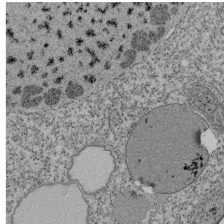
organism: Tetrahymena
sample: Cilia in tetrahymena